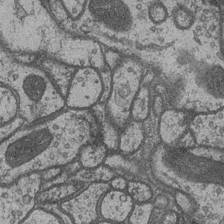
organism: Drosophila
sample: Optic medulla